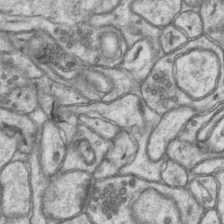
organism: Mouse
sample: CA1 Hippocampus